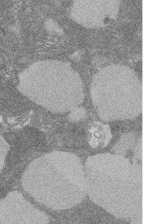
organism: Rat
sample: Salivary granule